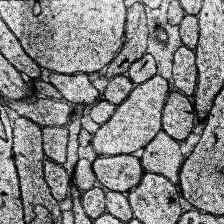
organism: Human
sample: Temporal Lobe